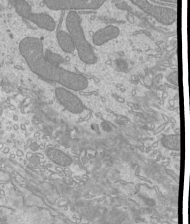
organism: Mouse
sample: Cilia; mouse epididymis